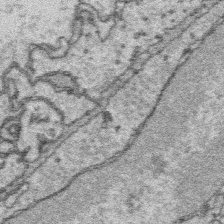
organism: Platynereis dumerilii